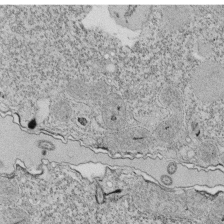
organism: Tetrahymena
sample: Cilia in tetrahymena